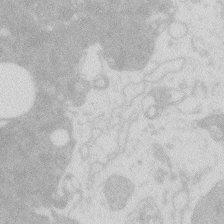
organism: Zebrafish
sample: Macrophage